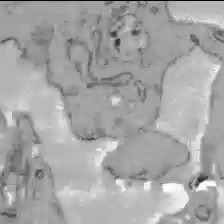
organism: C57BL Mouse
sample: Liver